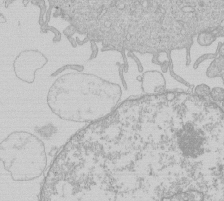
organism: Human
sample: Macrophage cells